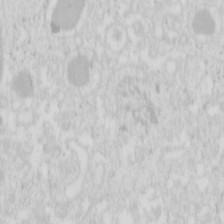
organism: Mouse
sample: Pancreas